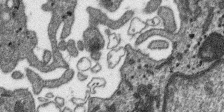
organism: Human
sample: Lung epithelial cells infected with SARS-CoV-2